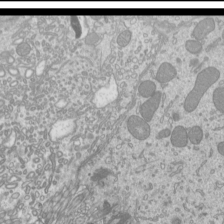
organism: Mouse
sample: Cilia; mouse epididymis